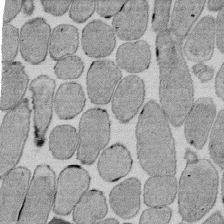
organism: E. coli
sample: Bacterial nucleoid